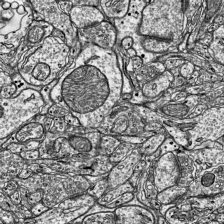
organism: Mouse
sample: Visual Cortex